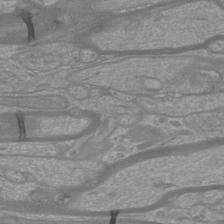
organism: Mouse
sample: Cortical neurons